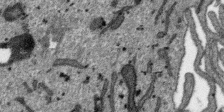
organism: Human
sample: Lung epithelial cells, uninfected (mock) control